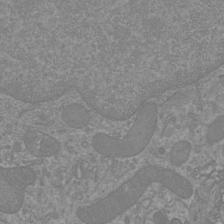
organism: Mouse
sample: Cortical neurons